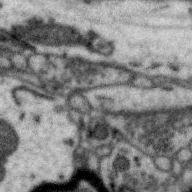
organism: Zebra finch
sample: Brain